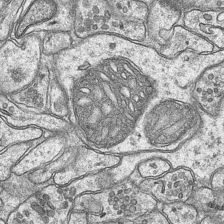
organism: Mouse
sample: CA1 Hippocampus